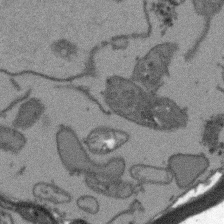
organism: Arabidopsis thaliana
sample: Root tip